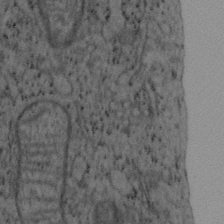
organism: Human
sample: HeLa cells